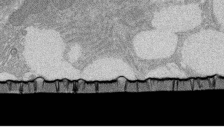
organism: Rat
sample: Salivary granule